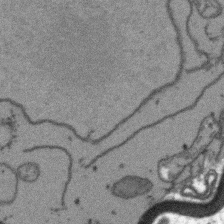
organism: Arabidopsis thaliana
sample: Root tip